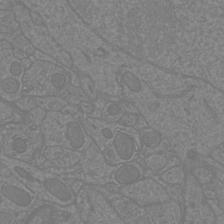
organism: Mouse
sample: Cortical neurons